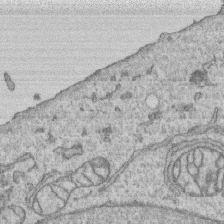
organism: Human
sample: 1205lu cells